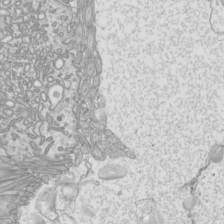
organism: Mouse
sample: Cilia; mouse epididymis